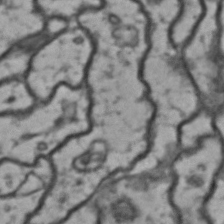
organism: Drosophila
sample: Brain